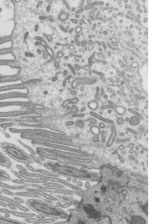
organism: Mouse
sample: Mouse epididymis efferent ductule cilia